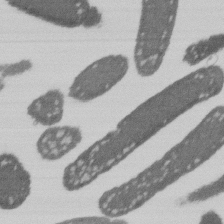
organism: E. coli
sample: Bacterial nucleoid